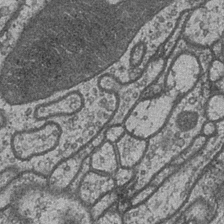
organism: Drosophila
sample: Optic medulla